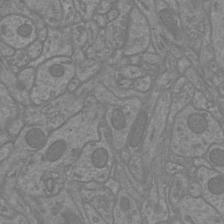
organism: Mouse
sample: Cortical neurons